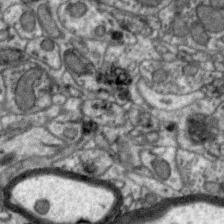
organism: Zebra finch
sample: Brain